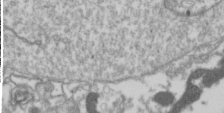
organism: Drosophila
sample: Cell division; meiosis; drosophila spermatocytes